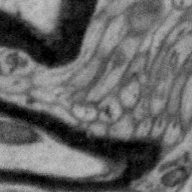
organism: Zebra finch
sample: Brain